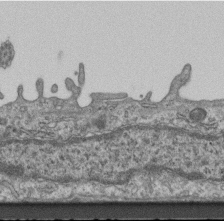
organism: Mouse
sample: Centriole in ependymal cells